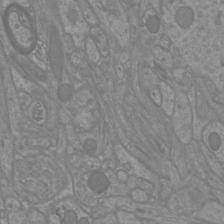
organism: Mouse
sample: Cortical neurons